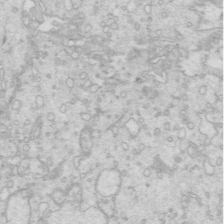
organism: Mouse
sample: Multiciliated cells